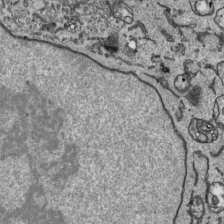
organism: Human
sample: Mitochondria in HCT116 cells